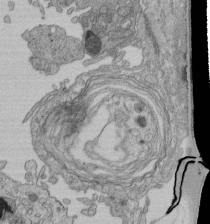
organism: Human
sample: Retinal organoid Rod and Cone cells